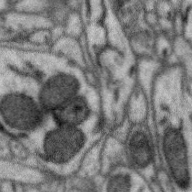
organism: Zebra finch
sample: Brain